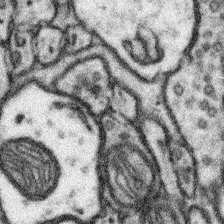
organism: Mouse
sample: Somatosensory cortex neuropil